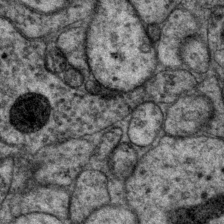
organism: P. pacificus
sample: Pharynx